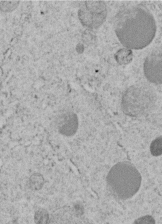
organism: C. elegans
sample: C. elegans embryo early stage